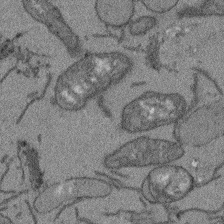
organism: Arabidopsis thaliana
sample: Root tip